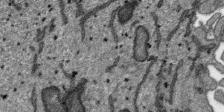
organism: Human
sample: Lung epithelial cells, uninfected (mock) control